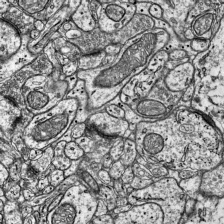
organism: Mouse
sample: Visual Cortex